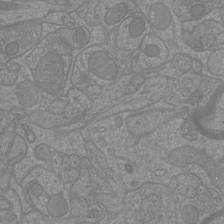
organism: Mouse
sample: Cortical neurons